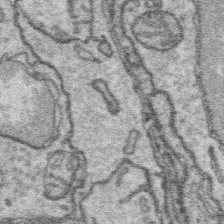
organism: Platynereis dumerilii